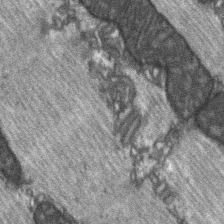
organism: C57BL Mouse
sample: Soleus